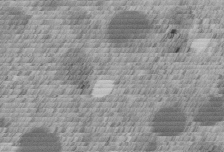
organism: C. elegans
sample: C. elegans embryo early stage